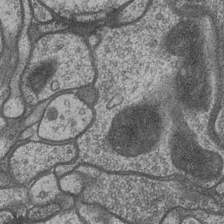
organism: Drosophila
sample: Optic medulla